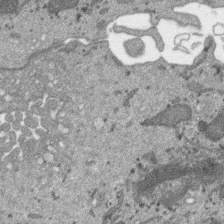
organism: Human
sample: Lung epithelial cells infected with SARS-CoV-2